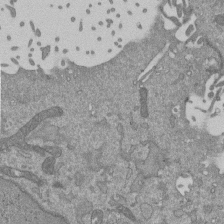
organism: Mouse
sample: ED-1 cell nuclei; centrioles